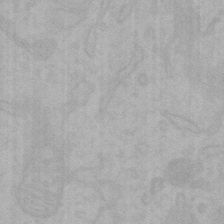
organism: Mouse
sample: Choroid plexus